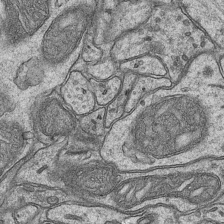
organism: Mouse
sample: CA1 Hippocampus